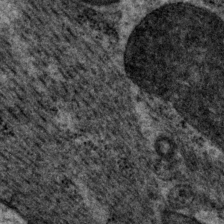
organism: P. pacificus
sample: Pharynx